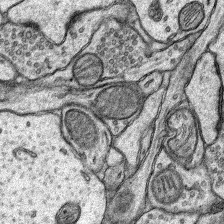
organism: Rat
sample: Hippocampus